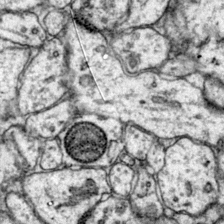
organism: Mouse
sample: Primary visual cortex